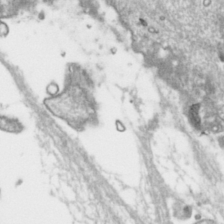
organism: Toxoplasma gondii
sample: Parasites in a vacuole inside a host cell